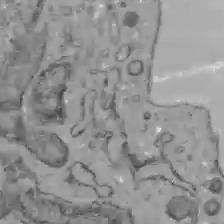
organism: C57BL Mouse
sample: Liver